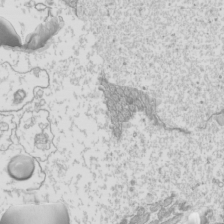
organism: Mouse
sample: Cilia; mouse epididymis